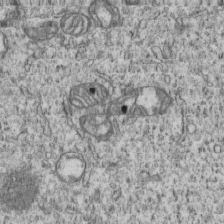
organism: Human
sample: MDA-MB-231 cells